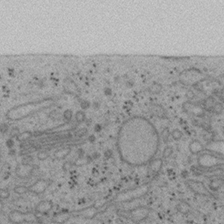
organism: Human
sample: HeLa cells